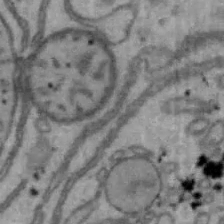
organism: Mouse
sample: Liver